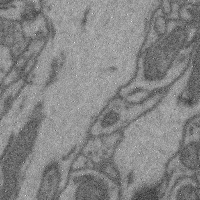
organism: Mouse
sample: Cerebral cortex